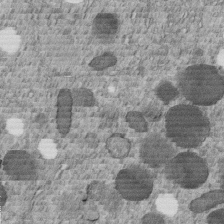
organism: C. elegans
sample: C. elegans embryo early stage